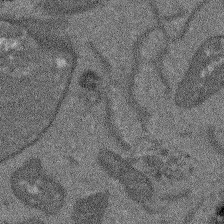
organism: Arabidopsis thaliana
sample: Root tip